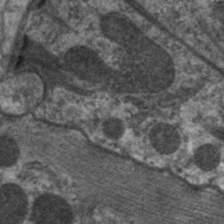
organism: C. elegans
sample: Pharynx